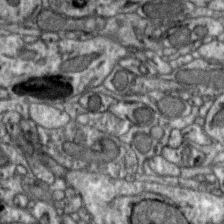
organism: Zebra finch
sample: Brain